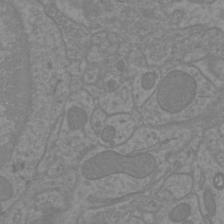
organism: Mouse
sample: Cortical neurons